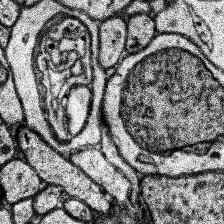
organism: Human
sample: Temporal Lobe